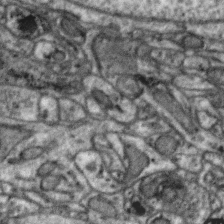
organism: Zebra finch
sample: Brain